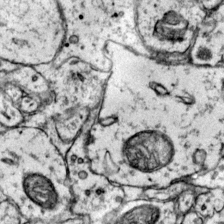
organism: Mouse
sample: Primary visual cortex